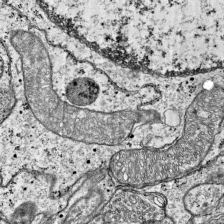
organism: Mouse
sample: Visual Cortex